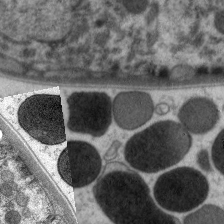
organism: C. elegans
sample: Pharynx